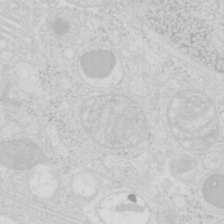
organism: Mouse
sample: Pancreas